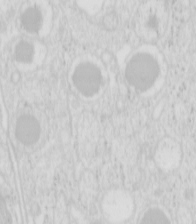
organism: Mouse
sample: Pancreas